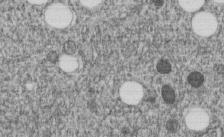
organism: C. elegans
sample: C. elegans embryo early stage